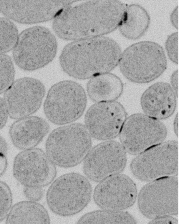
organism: E. coli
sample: Bacterial nucleoid